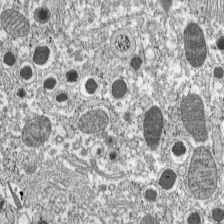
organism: C57BL Mouse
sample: Pancreatic islet